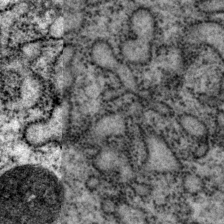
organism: P. pacificus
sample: Pharynx